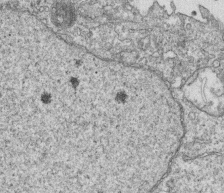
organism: Human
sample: HeLa cell HIV synapse